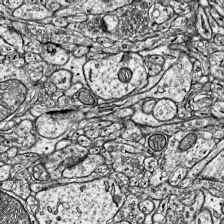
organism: Mouse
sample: Visual Cortex